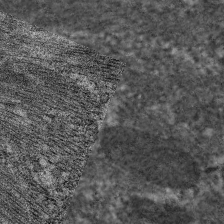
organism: C. elegans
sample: Pharynx